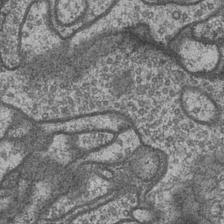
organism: Drosophila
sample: Optic medulla